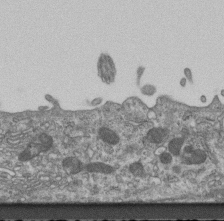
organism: Mouse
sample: Centriole in ependymal cells